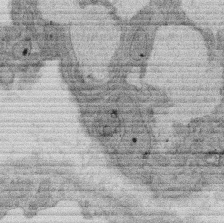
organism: Rat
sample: Salivary granule